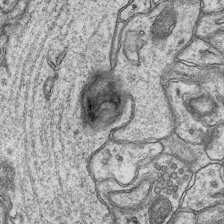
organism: Mouse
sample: CA1 Hippocampus